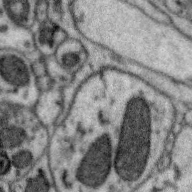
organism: Zebra finch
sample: Brain